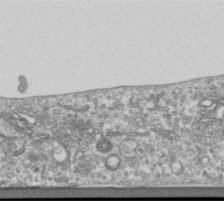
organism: Human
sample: Centriole in RPE cells